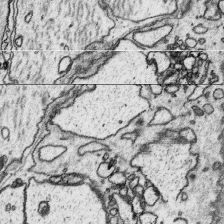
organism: Platynereis dumerilii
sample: Parapodia